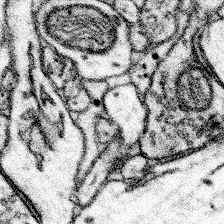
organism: Mouse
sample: Somatosensory cortex neuropil